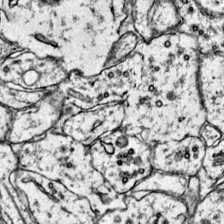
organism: Mouse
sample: Primary visual cortex